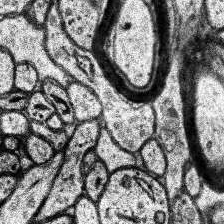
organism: Human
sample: Temporal Lobe